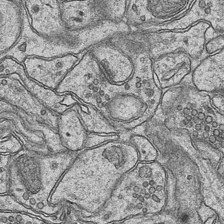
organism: Mouse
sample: CA1 Hippocampus